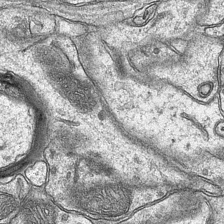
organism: Mouse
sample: CA1 Hippocampus